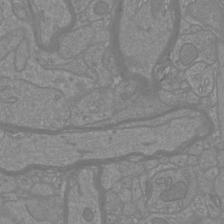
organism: Mouse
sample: Cortical neurons